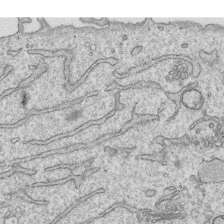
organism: Human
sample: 1205lu cells